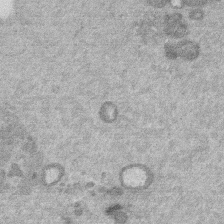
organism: Mouse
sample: Dividing mouse embryo 1 cell stage